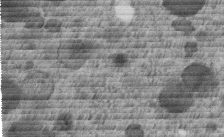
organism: C. elegans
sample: C. elegans embryo early stage